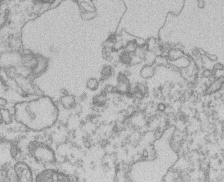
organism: Mouse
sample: T cell stromal cell synapse